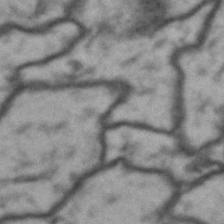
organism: Drosophila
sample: Brain